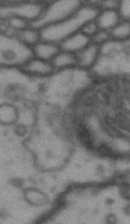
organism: Drosophila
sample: Brain